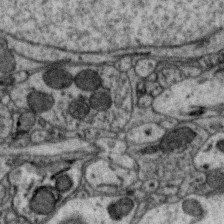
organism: Zebra finch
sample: Brain